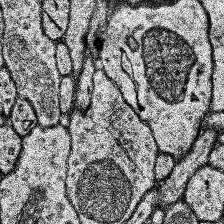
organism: Human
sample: Temporal Lobe